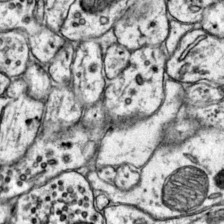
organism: Mouse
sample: Primary visual cortex